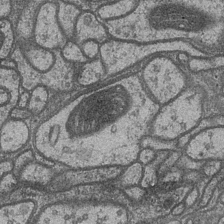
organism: Drosophila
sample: Optic medulla